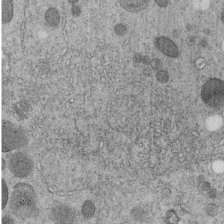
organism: C. elegans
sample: C. elegans embryo early stage